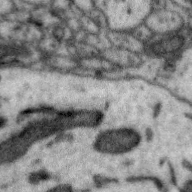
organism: Zebra finch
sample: Brain